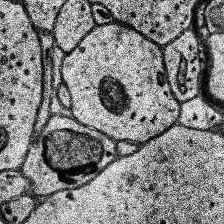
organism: Human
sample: Temporal Lobe